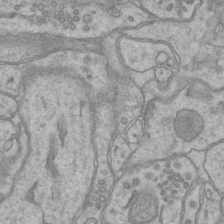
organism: Mouse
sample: CA1 Hippocampus